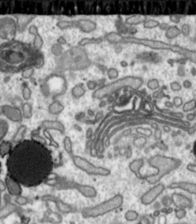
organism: Toxoplasma gondii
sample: Parasites in a vacuole inside a host cell